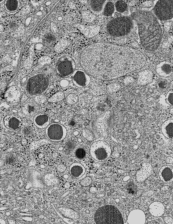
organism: C57BL Mouse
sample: Pancreatic islet